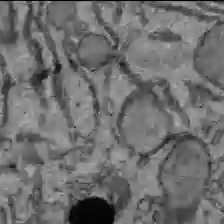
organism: C57BL Mouse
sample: Liver